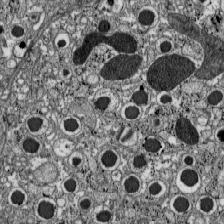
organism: C57BL Mouse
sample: Pancreatic islet